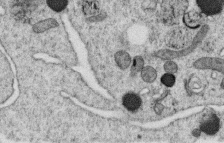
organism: C. elegans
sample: C. elegans oocyte; sperm cells